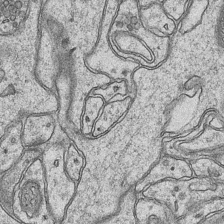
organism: Mouse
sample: CA1 Hippocampus